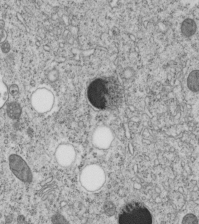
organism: C. elegans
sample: C. elegans embryo early stage